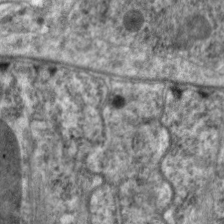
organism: C. elegans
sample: Pharynx